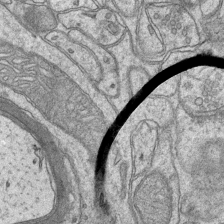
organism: Mouse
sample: CA1 Hippocampus